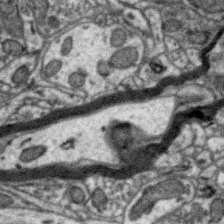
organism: Zebra finch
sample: Brain